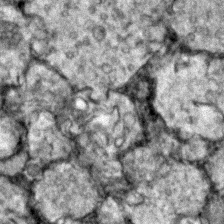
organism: Zebrafish